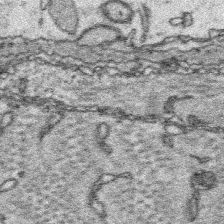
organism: Platynereis dumerilii